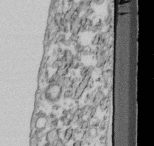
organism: Mouse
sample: Cilia; retinal pigment epithelium